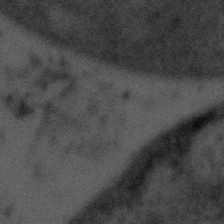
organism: Tuwongella immobilis